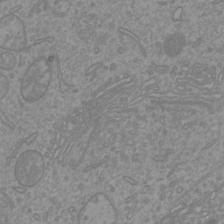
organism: Mouse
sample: Cortical neurons